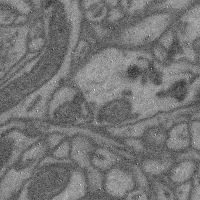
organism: Mouse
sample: Cerebral cortex